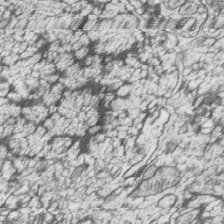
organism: Zebrafish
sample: synaptic ribbons in rod cells and cone cells